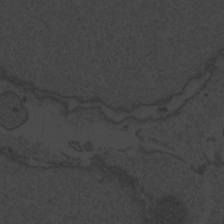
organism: Zebrafish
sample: Macrophage infected with Toxoplasma gondii